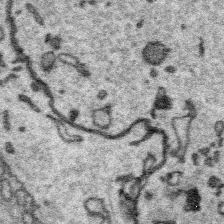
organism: Platynereis dumerilii